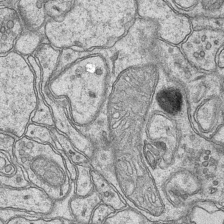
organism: Mouse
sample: CA1 Hippocampus